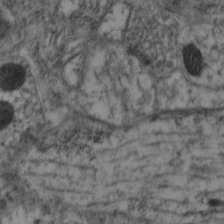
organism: Mouse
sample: Neocortex